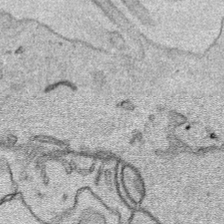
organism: Human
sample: Mitochondria in HCT116 cells